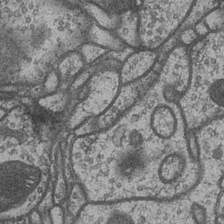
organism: Drosophila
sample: Optic medulla